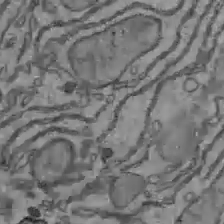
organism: C57BL Mouse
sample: Liver